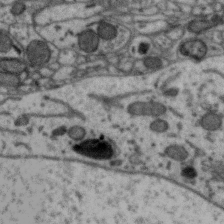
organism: Zebra finch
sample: Brain